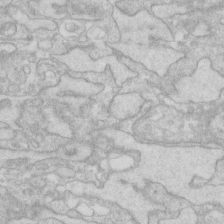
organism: Human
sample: Fibroblast cells